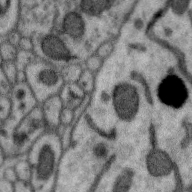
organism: Zebra finch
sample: Brain